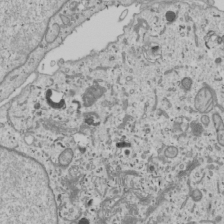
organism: Human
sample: Mitochondria in U2OS cells